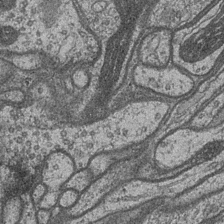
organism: Drosophila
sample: Optic medulla